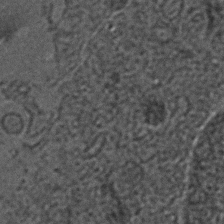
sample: Trachea